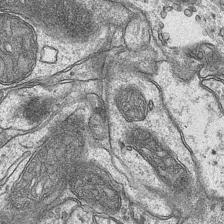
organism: Mouse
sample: CA1 Hippocampus